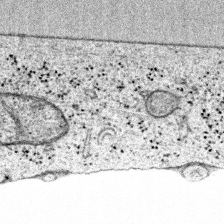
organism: Human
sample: HeLa cells